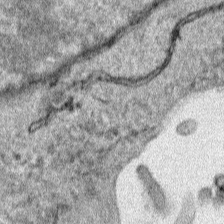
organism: Human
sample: Mitochondria in HCT116 cells